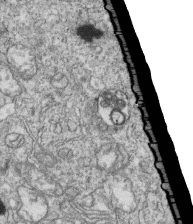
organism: Human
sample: HeLa cell HIV synapse